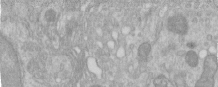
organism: Human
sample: Centriole in RPE cells